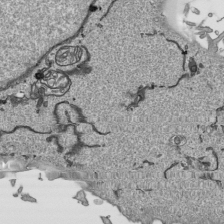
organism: Human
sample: Mitochondria in HCT116 cells